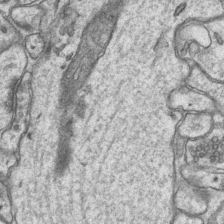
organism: Mouse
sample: CA1 Hippocampus